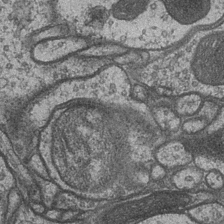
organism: Drosophila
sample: Optic medulla